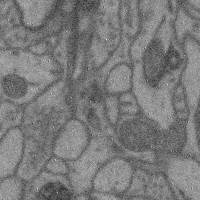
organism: Mouse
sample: Cerebral cortex